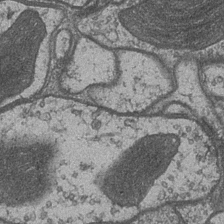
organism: Drosophila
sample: Optic medulla